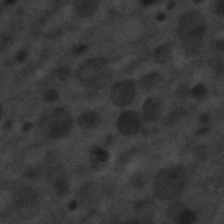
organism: C. elegans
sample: C. elegans embryo